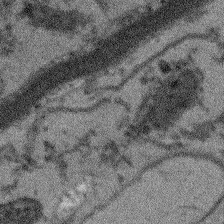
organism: Arabidopsis thaliana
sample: Root tip